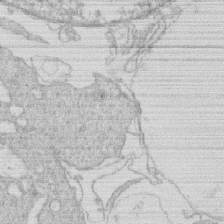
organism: Human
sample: Macrophage cells